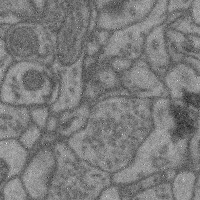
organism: Mouse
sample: Cerebral cortex